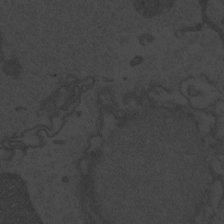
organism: Zebrafish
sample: Macrophage infected with Toxoplasma gondii